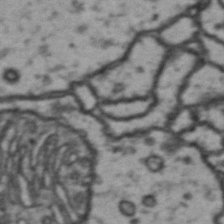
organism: Drosophila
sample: Brain